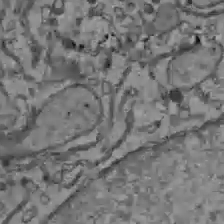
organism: C57BL Mouse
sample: Liver